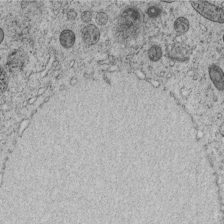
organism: C. elegans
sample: C. elegans embryo early stage